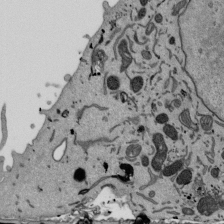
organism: Mouse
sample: ED-1 cell nuclei; centrioles